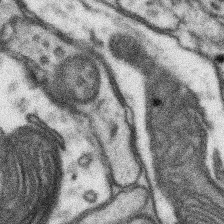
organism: Mouse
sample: Somatosensory cortex neuropil